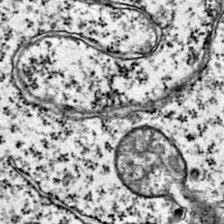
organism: Mouse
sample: Primary visual cortex